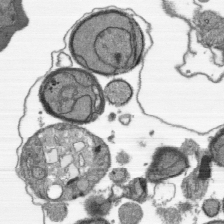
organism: Plasmodium falciparum